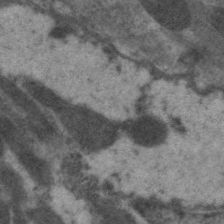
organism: C. elegans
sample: Pharynx